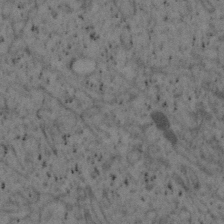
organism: Human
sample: HeLa cells